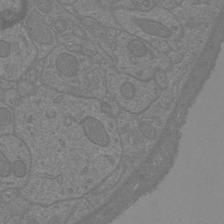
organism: Mouse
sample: Cortical neurons